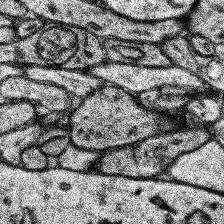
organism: Human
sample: Temporal Lobe